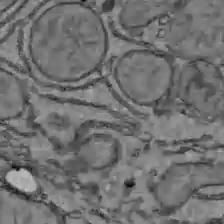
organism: C57BL Mouse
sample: Liver